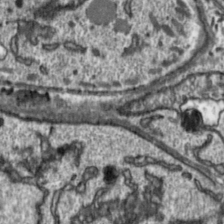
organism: Toxoplasma gondii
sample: Parasites in a vacuole inside a host cell